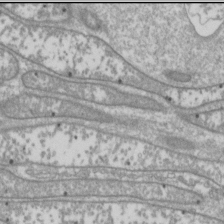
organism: Drosophila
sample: Cell division; meiosis; drosophila spermatocytes